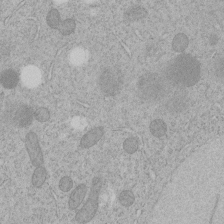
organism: C. elegans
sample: C. elegans embryo early stage